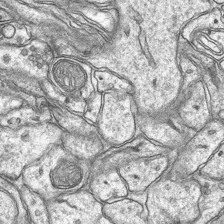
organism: Mouse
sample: CA1 Hippocampus